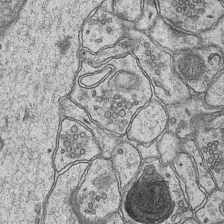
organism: Mouse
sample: CA1 Hippocampus